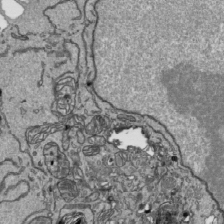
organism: Human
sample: Mitochondria in HCT116 cells